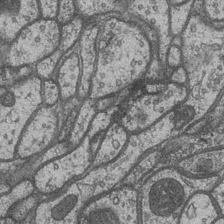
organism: Drosophila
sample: Optic medulla